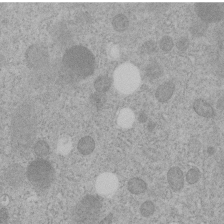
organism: C. elegans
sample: C. elegans embryo early stage